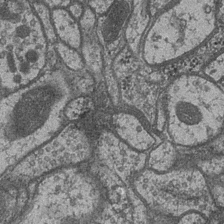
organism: Drosophila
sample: Optic medulla